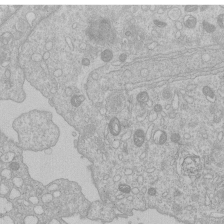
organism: Human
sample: Macrophage cells